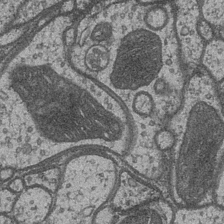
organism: Drosophila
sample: Optic medulla